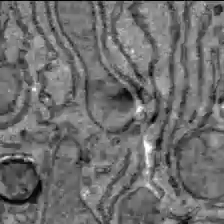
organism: C57BL Mouse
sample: Liver